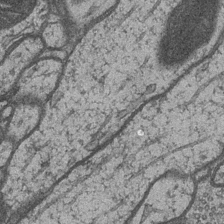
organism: Drosophila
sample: Optic medulla